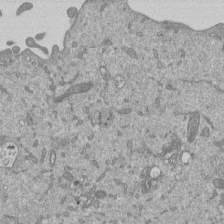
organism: Mouse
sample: ED-1 cell nuclei; centrioles